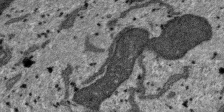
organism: Human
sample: Lung epithelial cells, uninfected (mock) control